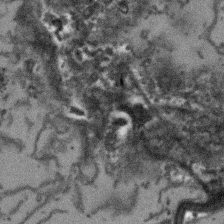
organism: Arabidopsis thaliana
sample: Root tip